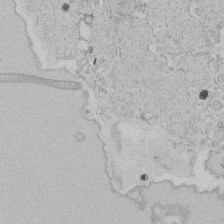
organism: Tetrahymena